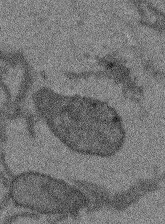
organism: Arabidopsis thaliana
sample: Root tip